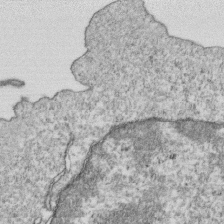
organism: Mouse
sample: Activated OT-1 CD8+ T cells